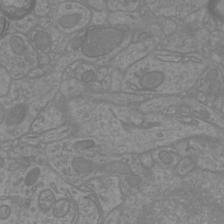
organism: Mouse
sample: Cortical neurons